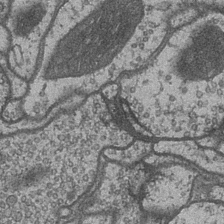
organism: Drosophila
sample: Optic medulla